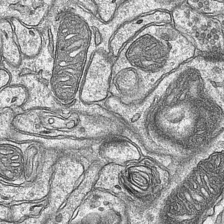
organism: Mouse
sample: CA1 Hippocampus